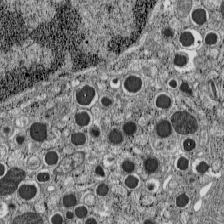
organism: C57BL Mouse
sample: Pancreatic islet